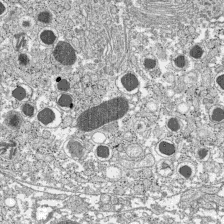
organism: C57BL Mouse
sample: Pancreatic islet